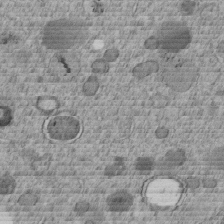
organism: C. elegans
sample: C. elegans embryo early stage